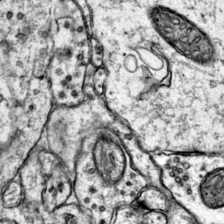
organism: Mouse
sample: Primary visual cortex